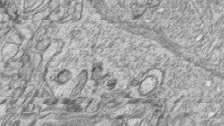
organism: Zebrafish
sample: synaptic ribbons in rod cells and cone cells